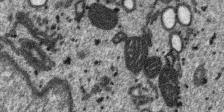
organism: Human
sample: Lung epithelial cells infected with SARS-CoV-2